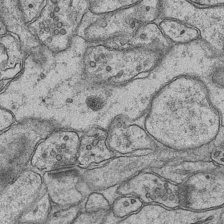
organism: Mouse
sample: CA1 Hippocampus